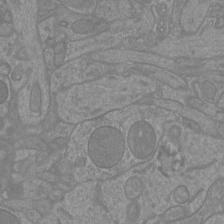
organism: Mouse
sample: Cortical neurons